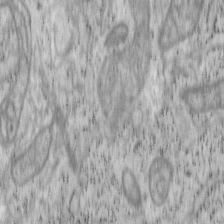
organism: Human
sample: HeLa cells